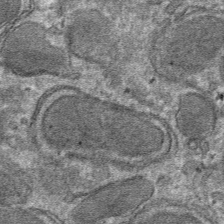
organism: Mouse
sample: Mouse hepatocytes